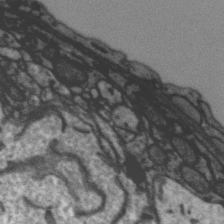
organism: Zebra finch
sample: Brain